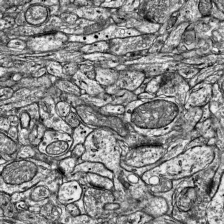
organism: Mouse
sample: Visual Cortex